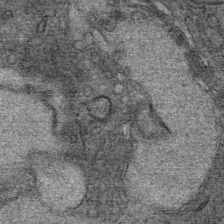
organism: Mouse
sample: Mouse Salivary gland